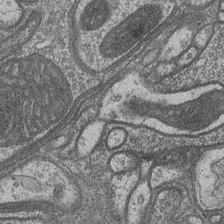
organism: Drosophila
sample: Optic medulla